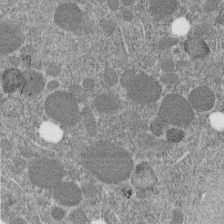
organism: C. elegans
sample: C. elegans embryo early stage